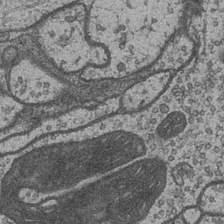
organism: Drosophila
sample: Optic medulla